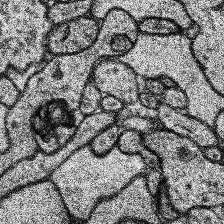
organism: Human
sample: Temporal Lobe